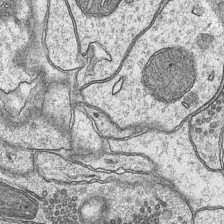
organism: Mouse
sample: CA1 Hippocampus